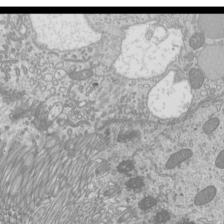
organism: Mouse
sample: Cilia; mouse epididymis